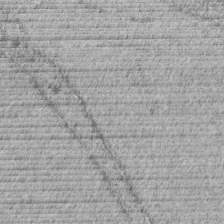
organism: C. elegans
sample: C. elegans embryo early stage